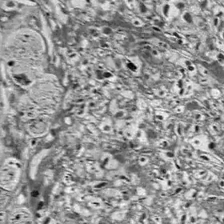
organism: Drosophila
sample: Optic lobe